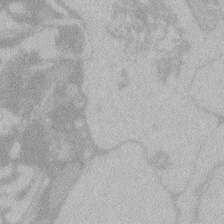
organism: Zebrafish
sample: Macrophage infected with Toxoplasma gondii